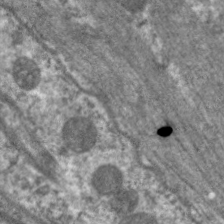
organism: C. elegans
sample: Pharynx